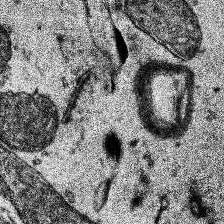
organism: Human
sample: Temporal Lobe